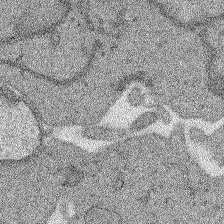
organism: Human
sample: HeLa cells